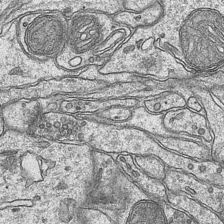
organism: Mouse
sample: CA1 Hippocampus